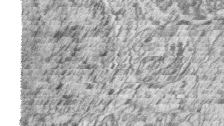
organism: Zebrafish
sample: synaptic ribbons in rod cells and cone cells